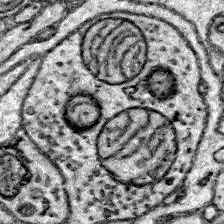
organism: Zebrafish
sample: Brain